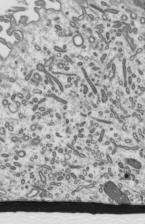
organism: Mouse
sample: Mouse epididymis efferent ductule cilia